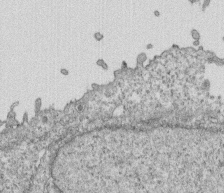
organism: Human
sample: HeLa cell HIV synapse